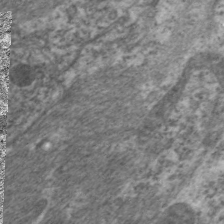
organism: C. elegans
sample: Pharynx